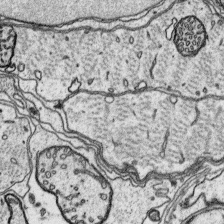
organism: Platynereis dumerilii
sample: Parapodia